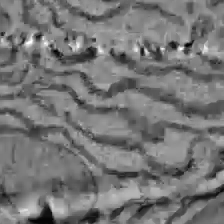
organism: C57BL Mouse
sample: Liver